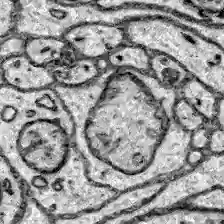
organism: Zebrafish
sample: Brain